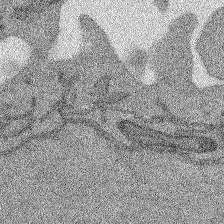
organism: Human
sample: HeLa cells